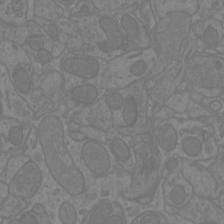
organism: Mouse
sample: Cortical neurons